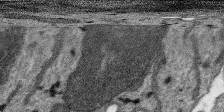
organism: Human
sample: Lung epithelial cells infected with SARS-CoV-2